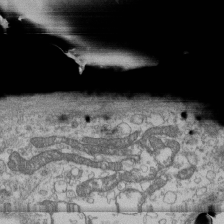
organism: Human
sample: Fibroblast cells